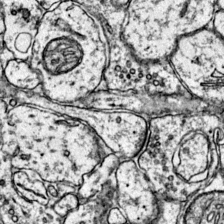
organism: Mouse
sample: Primary visual cortex